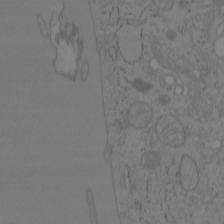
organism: Human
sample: HeLa cells